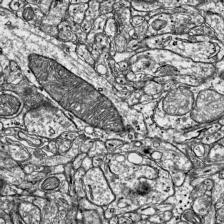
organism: Mouse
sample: Visual Cortex